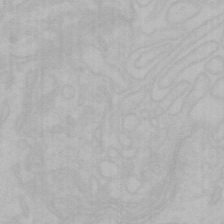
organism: Mouse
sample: Choroid plexus